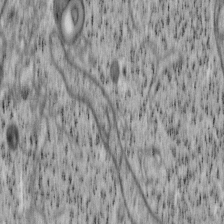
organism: Human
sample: HeLa cells